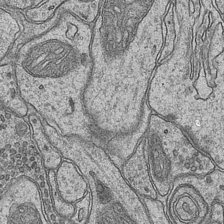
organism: Mouse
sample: CA1 Hippocampus